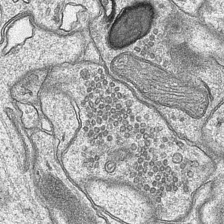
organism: Mouse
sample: CA1 Hippocampus